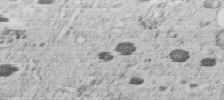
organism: C. elegans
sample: C. elegans embryo early stage